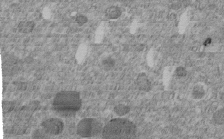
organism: C. elegans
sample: C. elegans embryo early stage